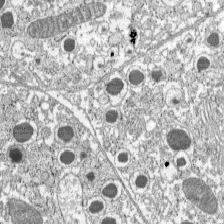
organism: C57BL Mouse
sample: Pancreatic islet